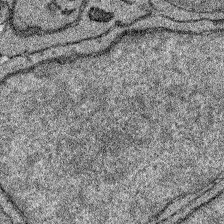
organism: Zebrafish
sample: Larval olfactory bulb